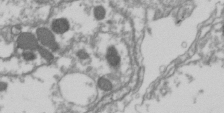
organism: Drosophila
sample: Cell division; meiosis; drosophila spermatocytes